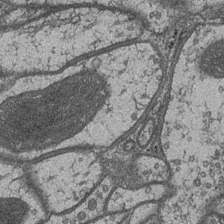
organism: Drosophila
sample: Optic medulla